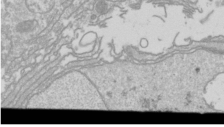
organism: Drosophila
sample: Cell division; meiosis; drosophila spermatocytes